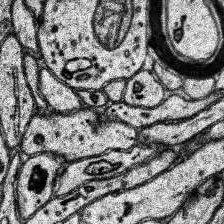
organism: Human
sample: Temporal Lobe